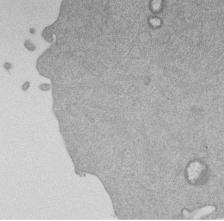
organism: Mouse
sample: Dividing mouse embryo 1 cell stage